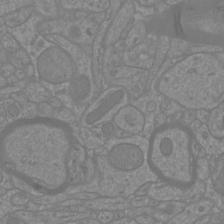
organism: Mouse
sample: Cortical neurons